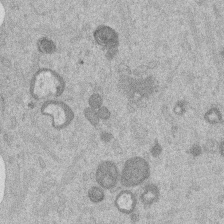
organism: Mouse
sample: Dividing mouse embryo 1 cell stage